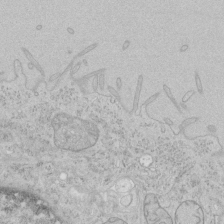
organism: Human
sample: Mitochondria in HCT116 cells